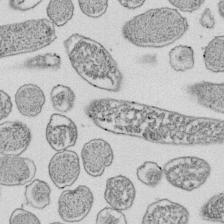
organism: E. coli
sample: Bacterial nucleoid